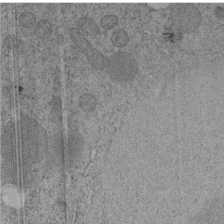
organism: C. elegans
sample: C. elegans embryo early stage